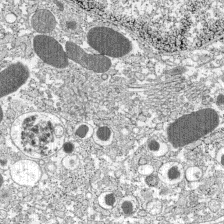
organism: C57BL Mouse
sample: Pancreatic islet